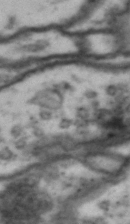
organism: Drosophila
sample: Brain